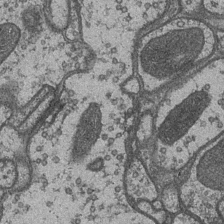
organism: Drosophila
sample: Optic medulla